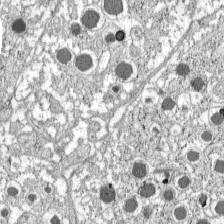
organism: C57BL Mouse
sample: Pancreatic islet